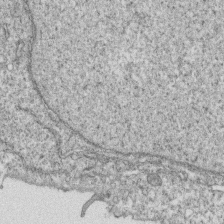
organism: Human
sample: HeLa cell HIV synapse